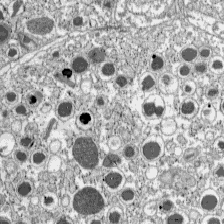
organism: C57BL Mouse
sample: Pancreatic islet